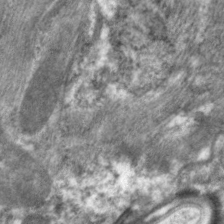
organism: C. elegans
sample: Pharynx